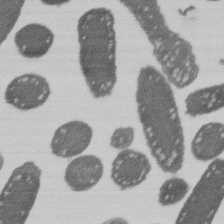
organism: E. coli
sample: Bacterial nucleoid